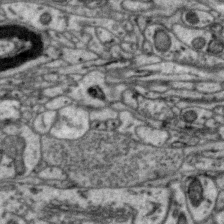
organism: Zebra finch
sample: Brain